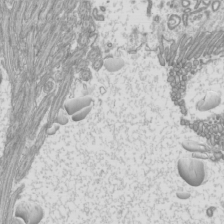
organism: Mouse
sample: Cilia; mouse epididymis